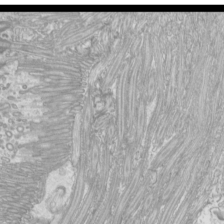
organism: Mouse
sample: Cilia; mouse epididymis